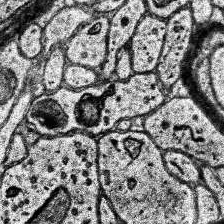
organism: Human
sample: Temporal Lobe